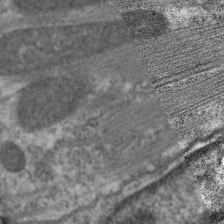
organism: C. elegans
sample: Pharynx